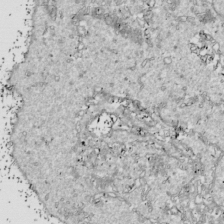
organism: Drosophila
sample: Cell division; meiosis; drosophila spermatocytes